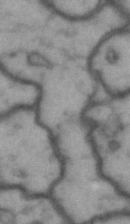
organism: Drosophila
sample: Brain